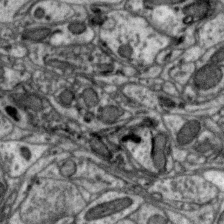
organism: Zebra finch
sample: Brain